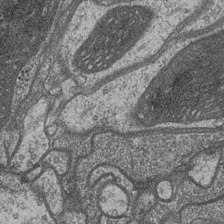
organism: Drosophila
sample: Optic medulla